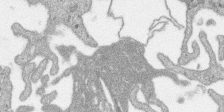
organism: Human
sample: Lung epithelial cells infected with SARS-CoV-2